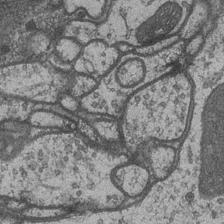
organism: Drosophila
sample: Optic medulla